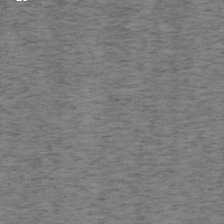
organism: Mouse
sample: OT-I killer T cells with ID8 ovarian cancer cells